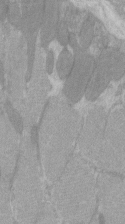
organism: C57BL Mouse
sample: Tibialis anterior muscle cell